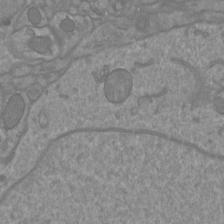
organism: Mouse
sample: Cortical neurons